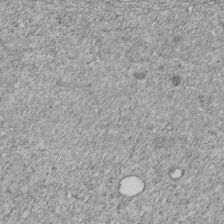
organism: C. elegans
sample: C. elegans embryo early stage